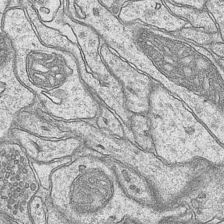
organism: Mouse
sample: CA1 Hippocampus